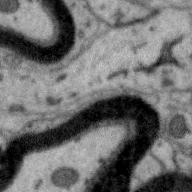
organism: Zebra finch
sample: Brain